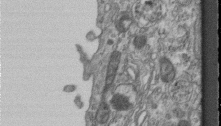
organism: Mouse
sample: Centriole in ependymal cells